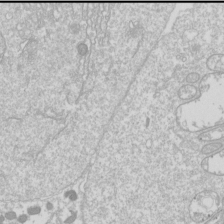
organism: Drosophila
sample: Cell division; meiosis; drosophila spermatocytes